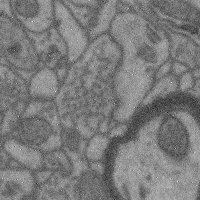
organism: Mouse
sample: Cerebral cortex